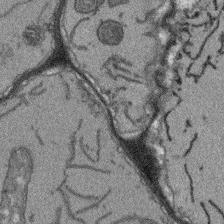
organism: Arabidopsis thaliana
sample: Root tip